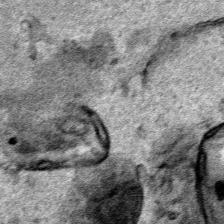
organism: Human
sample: Mitochondria in HCT116 cells